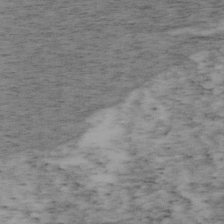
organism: Mouse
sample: OT-I killer T cells with ID8 ovarian cancer cells